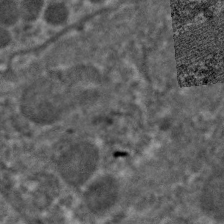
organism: C. elegans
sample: Pharynx